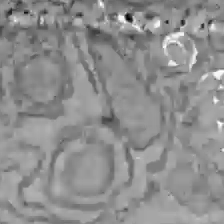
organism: C57BL Mouse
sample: Liver